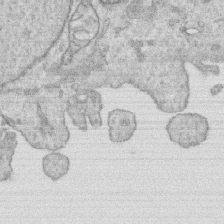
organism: Human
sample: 1205lu cells